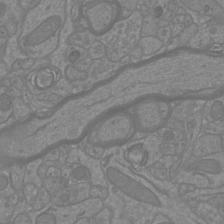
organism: Mouse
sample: Cortical neurons